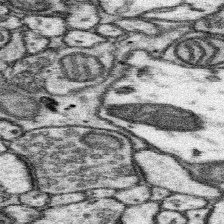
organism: Mouse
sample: Somatosensory cortex neuropil